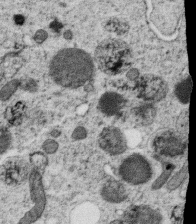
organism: C. elegans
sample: C. elegans oocyte; sperm cells